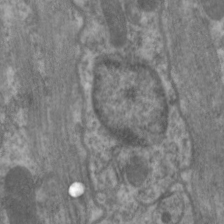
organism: C. elegans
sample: Pharynx